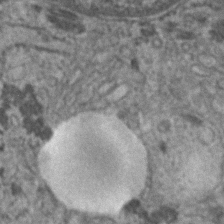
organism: Human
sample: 1205lu cells